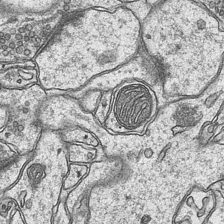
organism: Mouse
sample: CA1 Hippocampus